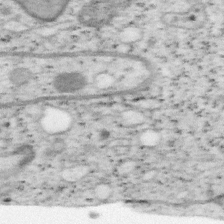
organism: Mouse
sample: OT-I killer T cells with ID8 ovarian cancer cells